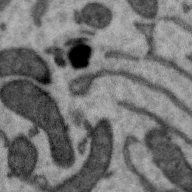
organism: Zebra finch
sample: Brain